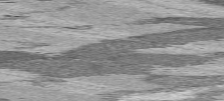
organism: C57BL Mouse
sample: Heart